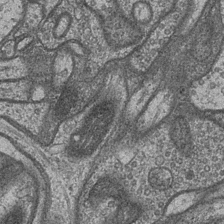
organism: Drosophila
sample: Optic medulla